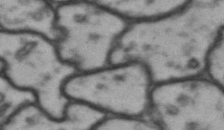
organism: Drosophila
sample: Brain